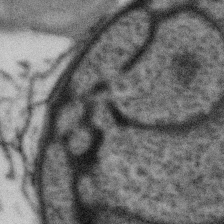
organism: Gemmata obscuriglobus